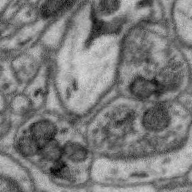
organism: Zebra finch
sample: Brain